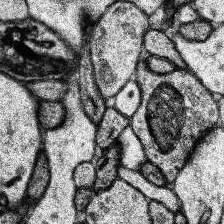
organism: Human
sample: Temporal Lobe